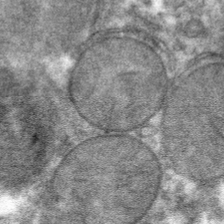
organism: Mouse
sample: Mouse hepatocytes